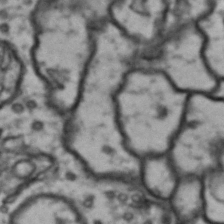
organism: Drosophila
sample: Brain